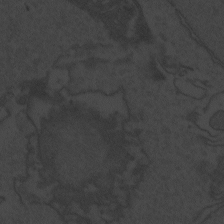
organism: Zebrafish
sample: Macrophage infected with Toxoplasma gondii